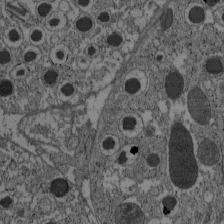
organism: C57BL Mouse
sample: Pancreatic islet